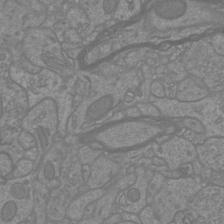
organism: Mouse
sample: Cortical neurons